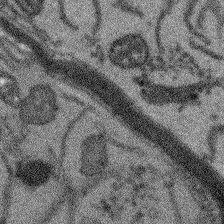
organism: Arabidopsis thaliana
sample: Root tip